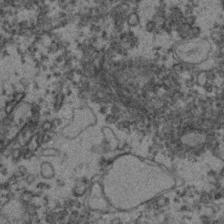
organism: Zebrafish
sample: Zebrafish embryo